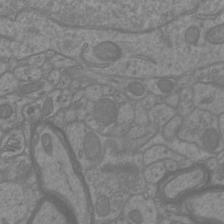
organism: Mouse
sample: Cortical neurons